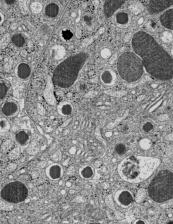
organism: C57BL Mouse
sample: Pancreatic islet